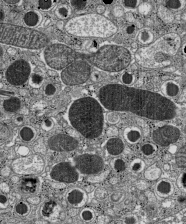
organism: C57BL Mouse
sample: Pancreatic islet